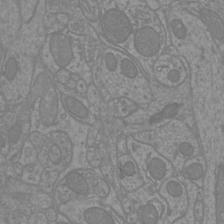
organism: Mouse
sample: Cortical neurons